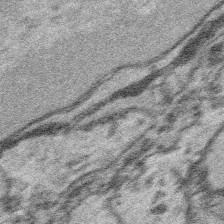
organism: Platynereis dumerilii